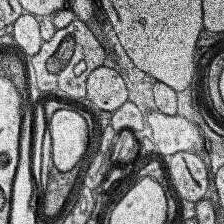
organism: Human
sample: Temporal Lobe